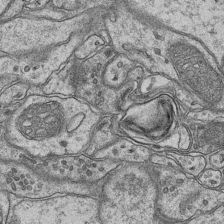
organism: Mouse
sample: CA1 Hippocampus